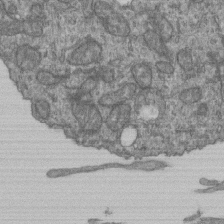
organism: Human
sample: Retinal organoid Rod and Cone cells